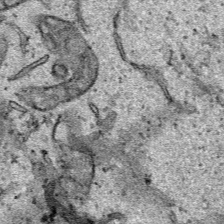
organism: Human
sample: Mitochondria in HCT116 cells